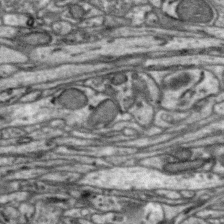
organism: Zebra finch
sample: Brain